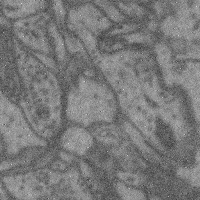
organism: Mouse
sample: Cerebral cortex